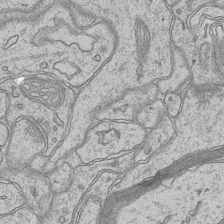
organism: Mouse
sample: CA1 Hippocampus